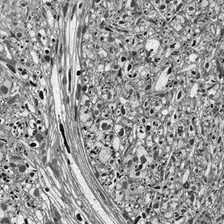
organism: Drosophila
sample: Optic lobe